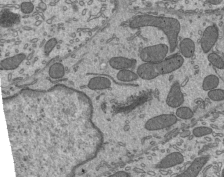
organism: Mouse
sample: Mouse epididymis efferent ductule cilia